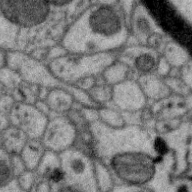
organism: Zebra finch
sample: Brain